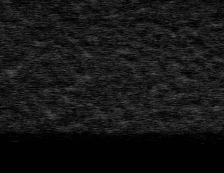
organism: Human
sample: HeLa cells